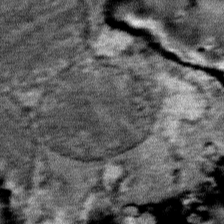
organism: Mouse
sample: Mouse Salivary gland